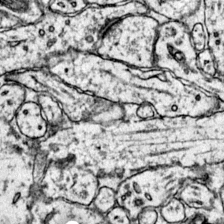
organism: Mouse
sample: Primary visual cortex